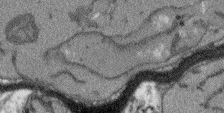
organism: Arabidopsis thaliana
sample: Root tip